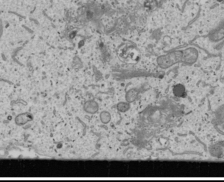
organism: Human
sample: Mitochondria in U2OS cells